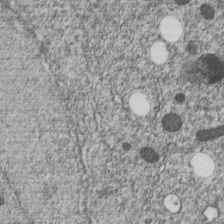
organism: C. elegans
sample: C. elegans embryo early stage